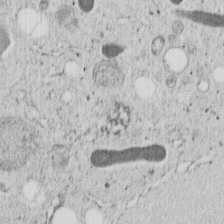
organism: C. elegans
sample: C. elegans embryo early stage